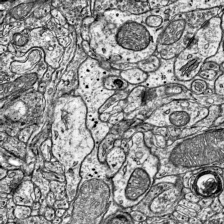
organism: Mouse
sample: Visual Cortex